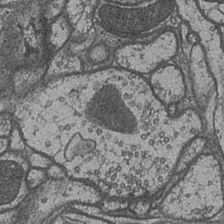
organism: Drosophila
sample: Optic medulla